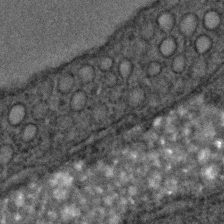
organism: C. elegans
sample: C. elegans embryo